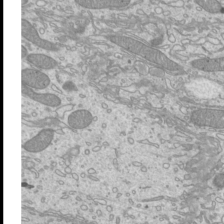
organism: Mouse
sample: Cilia; mouse epididymis